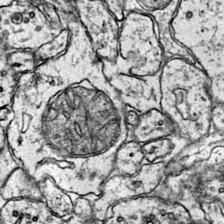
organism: Mouse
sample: Primary visual cortex